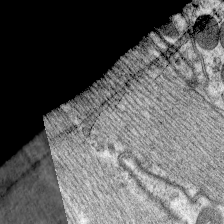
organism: C. elegans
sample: Pharynx